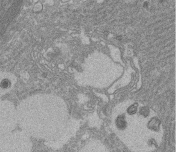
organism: Rat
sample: Salivary granule